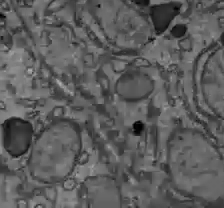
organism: C57BL Mouse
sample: Liver